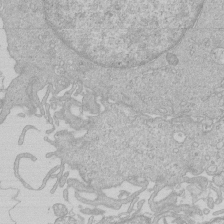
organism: Human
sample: Macrophage cells